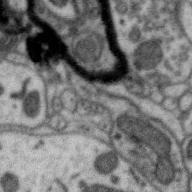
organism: Zebra finch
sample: Brain